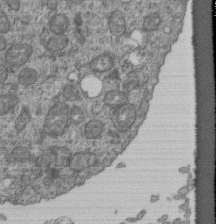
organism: Human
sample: Retinal organoid Rod and Cone cells